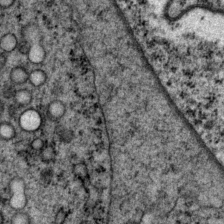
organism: P. pacificus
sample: Pharynx